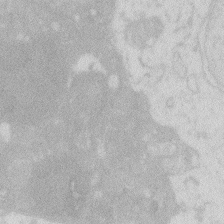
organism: Zebrafish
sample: Macrophage